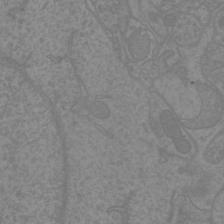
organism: Mouse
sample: Cortical neurons